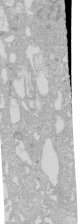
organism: Human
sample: Caco-2 cells